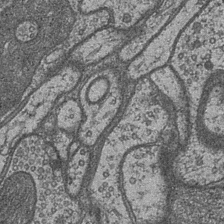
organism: Drosophila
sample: Optic medulla